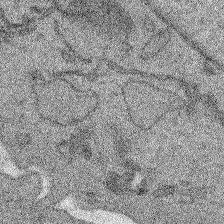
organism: Human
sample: HeLa cells